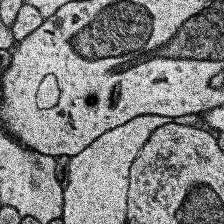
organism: Human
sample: Temporal Lobe